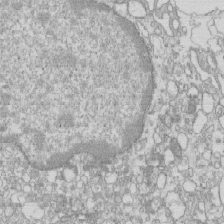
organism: Mouse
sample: Macrophages